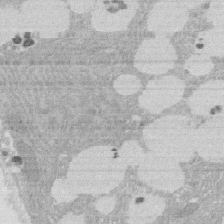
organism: Rat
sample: Salivary granule